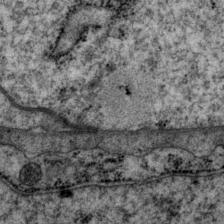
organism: P. pacificus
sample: Pharynx